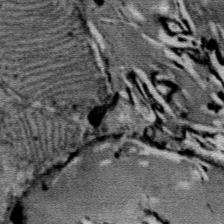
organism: Mouse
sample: Mouse Salivary gland